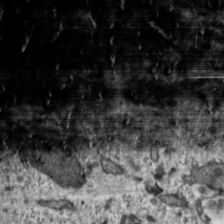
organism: Toxoplasma gondii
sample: Parasites in a vacuole inside a host cell